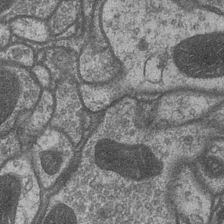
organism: Drosophila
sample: Optic medulla